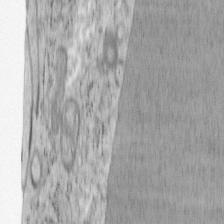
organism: Human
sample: HeLa cells